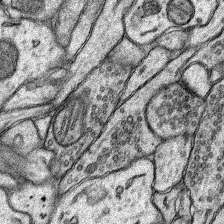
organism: Rat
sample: Hippocampus